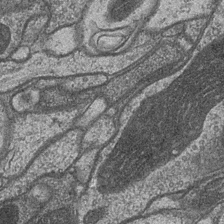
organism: Drosophila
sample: Optic medulla